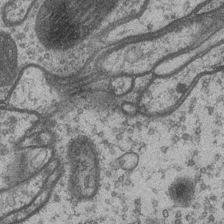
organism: Drosophila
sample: Optic medulla